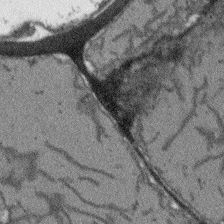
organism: Arabidopsis thaliana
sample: Root tip